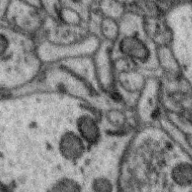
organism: Zebra finch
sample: Brain